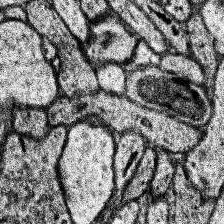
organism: Human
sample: Temporal Lobe